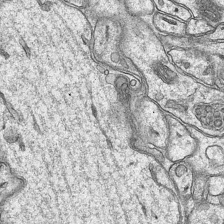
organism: Mouse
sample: CA1 Hippocampus